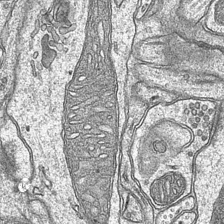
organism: Mouse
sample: CA1 Hippocampus